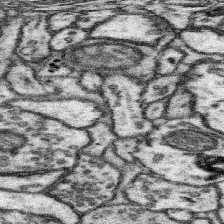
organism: Mouse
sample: Somatosensory cortex neuropil